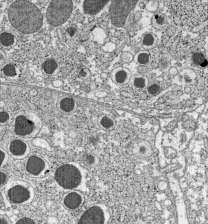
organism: C57BL Mouse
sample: Pancreatic islet